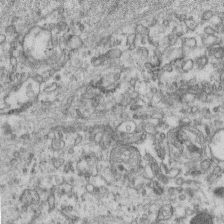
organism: Mouse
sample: Centriole in ependymal cells